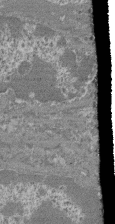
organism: Mouse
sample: Glomerulus